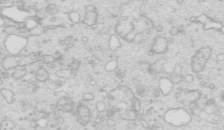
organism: Mouse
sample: Multiciliated cells